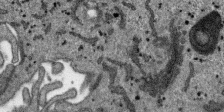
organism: Human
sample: Lung epithelial cells, uninfected (mock) control